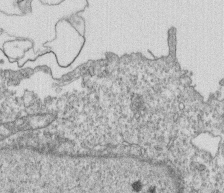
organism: Human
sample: HeLa cell HIV synapse